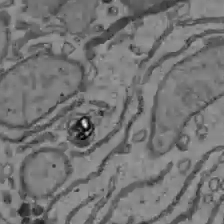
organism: C57BL Mouse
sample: Liver